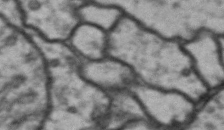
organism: Drosophila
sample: Brain